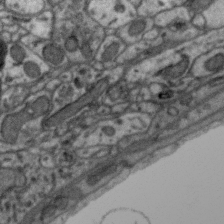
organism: Zebra finch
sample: Brain